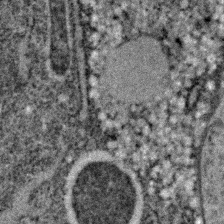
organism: C. elegans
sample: C. elegans embryo